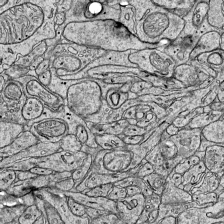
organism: Mouse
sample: Visual Cortex